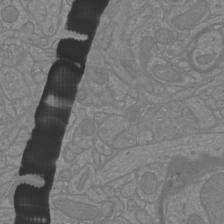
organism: Mouse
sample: Cortical neurons